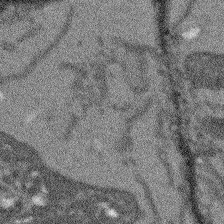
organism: Arabidopsis thaliana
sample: Root tip